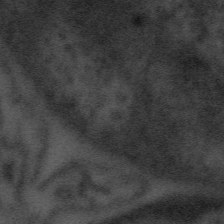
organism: Tuwongella immobilis